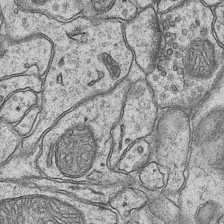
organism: Mouse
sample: CA1 Hippocampus